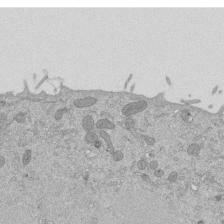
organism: Mouse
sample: ED-1 cell nuclei; centrioles